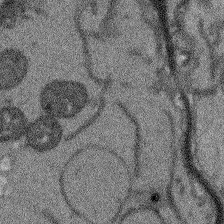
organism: Arabidopsis thaliana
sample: Root tip